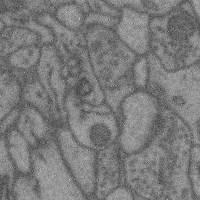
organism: Mouse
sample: Cerebral cortex